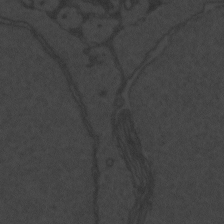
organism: Zebrafish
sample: Macrophage infected with Toxoplasma gondii